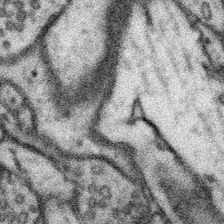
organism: Mouse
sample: Somatosensory cortex neuropil